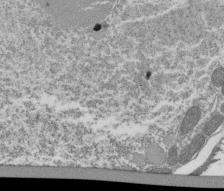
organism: Tetrahymena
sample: Cilia in tetrahymena